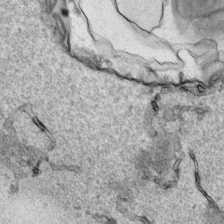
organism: Human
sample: Mitochondria in HCT116 cells